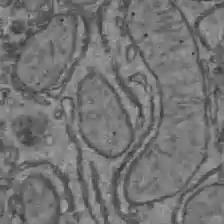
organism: C57BL Mouse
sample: Liver